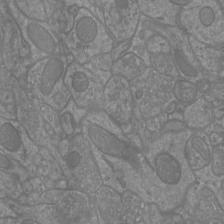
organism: Mouse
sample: Cortical neurons